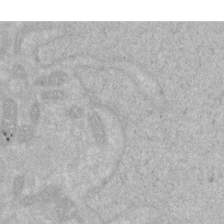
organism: Human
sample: HIV infected U937 cells